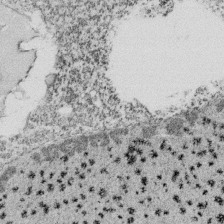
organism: Tetrahymena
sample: Cilia in tetrahymena